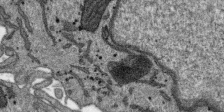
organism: Human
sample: Lung epithelial cells, uninfected (mock) control